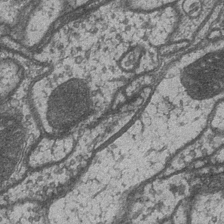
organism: Drosophila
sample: Optic medulla